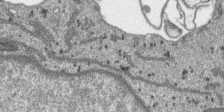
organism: Human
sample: Lung epithelial cells infected with SARS-CoV-2